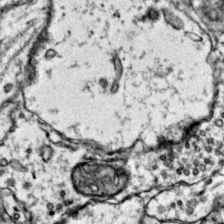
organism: Mouse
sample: Primary visual cortex